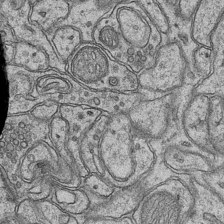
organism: Mouse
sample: CA1 Hippocampus